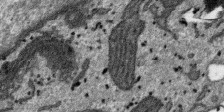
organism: Human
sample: Lung epithelial cells, uninfected (mock) control